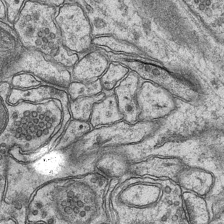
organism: Mouse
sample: CA1 Hippocampus